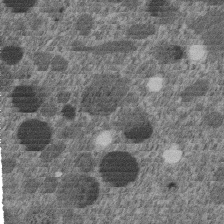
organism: C. elegans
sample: C. elegans embryo early stage